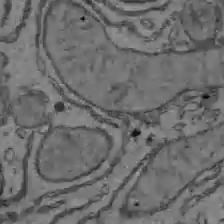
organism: C57BL Mouse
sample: Liver